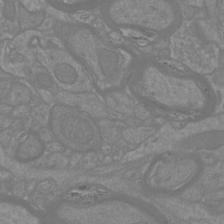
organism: Mouse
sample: Cortical neurons